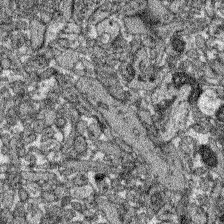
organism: Zebrafish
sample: Larval olfactory bulb